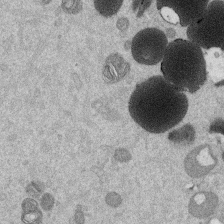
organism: Mouse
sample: Dividing mouse embryo 1 cell stage